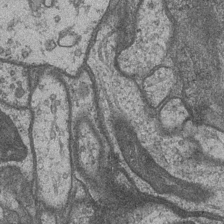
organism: Drosophila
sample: Optic medulla